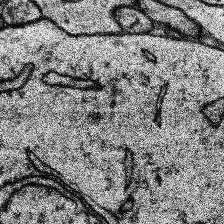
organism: Human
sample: Temporal Lobe